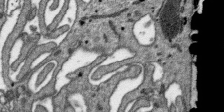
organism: Human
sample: Lung epithelial cells, uninfected (mock) control